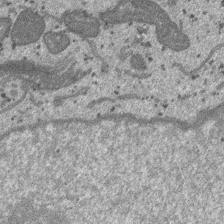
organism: Human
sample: Lung epithelial cells infected with SARS-CoV-2